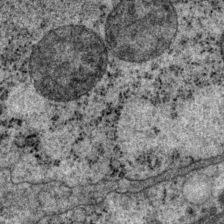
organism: P. pacificus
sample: Pharynx